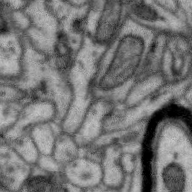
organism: Zebra finch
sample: Brain